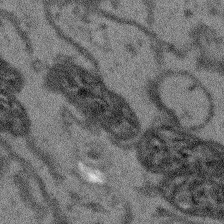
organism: Arabidopsis thaliana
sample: Root tip